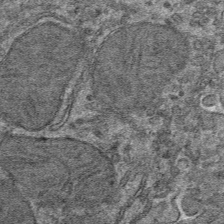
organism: Mouse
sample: Mouse hepatocytes